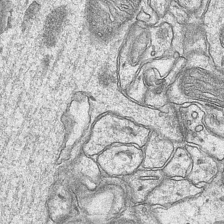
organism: Mouse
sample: CA1 Hippocampus